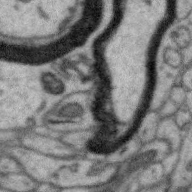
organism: Zebra finch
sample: Brain